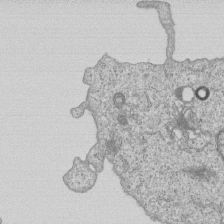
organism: Human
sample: MDA-MB-231 cells